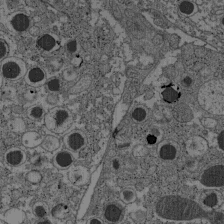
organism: C57BL Mouse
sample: Pancreatic islet